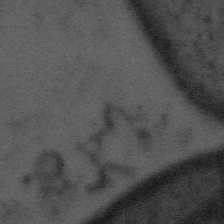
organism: Tuwongella immobilis